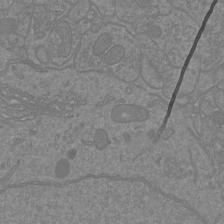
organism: Mouse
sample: Cortical neurons